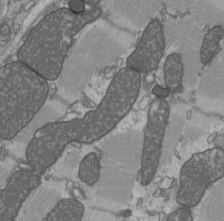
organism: C57BL Mouse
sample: Heart